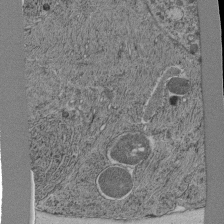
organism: C. elegans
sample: C. elegans pharynx